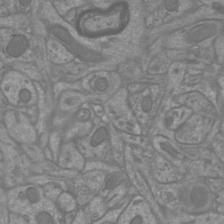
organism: Mouse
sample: Cortical neurons